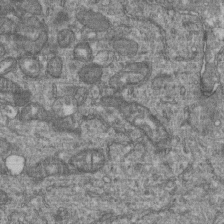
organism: Human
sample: Retinal organoid Rod and Cone cells